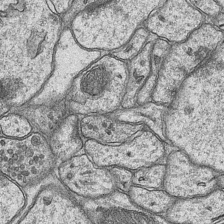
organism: Mouse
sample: CA1 Hippocampus